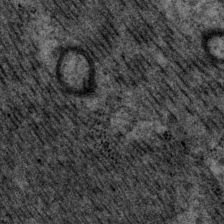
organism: P. pacificus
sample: Pharynx